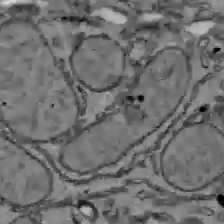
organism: C57BL Mouse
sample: Liver